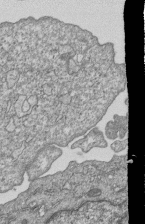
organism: Human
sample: MDA-MB-231 cells